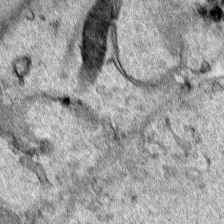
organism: Human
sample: Mitochondria in HCT116 cells